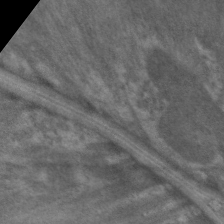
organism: C. elegans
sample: Pharynx